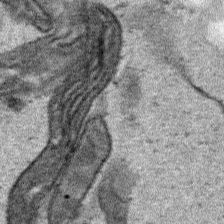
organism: Human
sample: Mitochondria in HCT116 cells